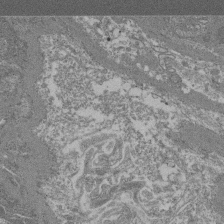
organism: Mouse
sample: Glomerulus